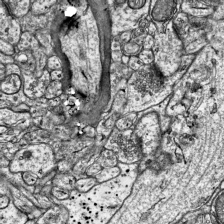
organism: Mouse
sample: Visual Cortex